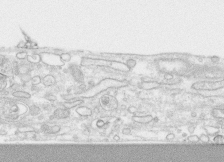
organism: Human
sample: CRL-1474